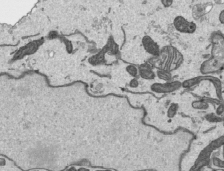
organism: Human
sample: Mitochondria in HCT116 cells